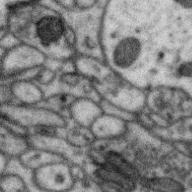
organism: Zebra finch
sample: Brain